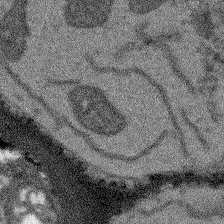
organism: Arabidopsis thaliana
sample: Root tip